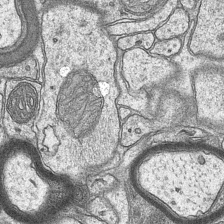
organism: Mouse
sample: CA1 Hippocampus